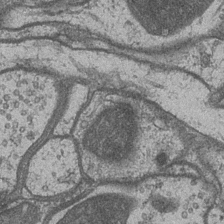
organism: Drosophila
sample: Optic medulla